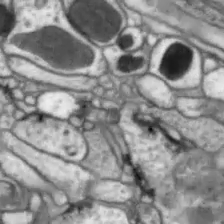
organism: Drosophila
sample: Optic lobe